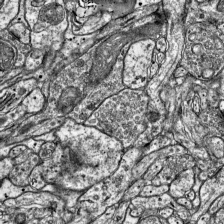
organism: Mouse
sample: Visual Cortex